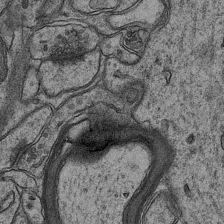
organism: Mouse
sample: CA1 Hippocampus